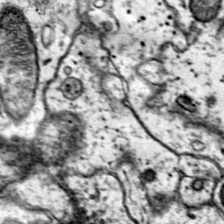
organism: Mouse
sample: Primary visual cortex